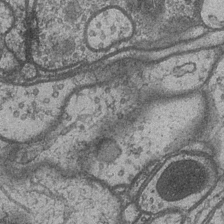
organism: Drosophila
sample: Optic medulla